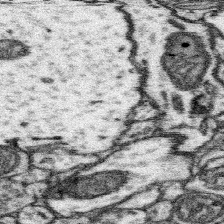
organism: Mouse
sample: Somatosensory cortex neuropil